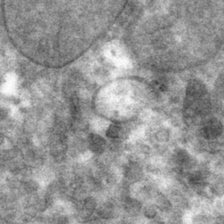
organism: Mouse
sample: Mouse hepatocytes